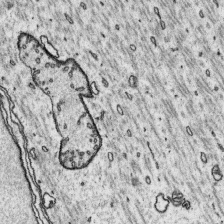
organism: Platynereis dumerilii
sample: Parapodia